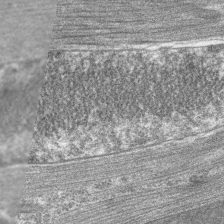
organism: C. elegans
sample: Pharynx